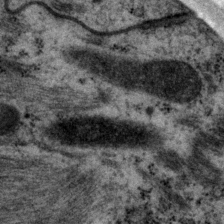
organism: P. pacificus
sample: Pharynx